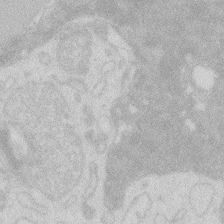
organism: Zebrafish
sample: Macrophage